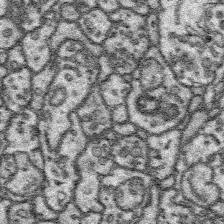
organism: Platynereis dumerilii